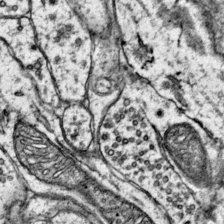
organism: Mouse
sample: Primary visual cortex